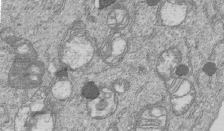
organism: Human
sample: MDA-MB-231 cells